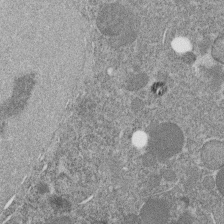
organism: C. elegans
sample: C. elegans embryo early stage